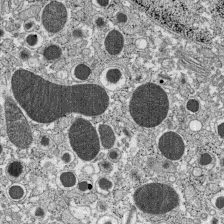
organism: C57BL Mouse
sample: Pancreatic islet